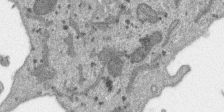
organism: Human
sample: Lung epithelial cells infected with SARS-CoV-2